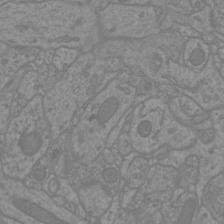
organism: Mouse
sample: Cortical neurons